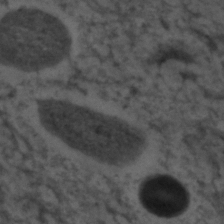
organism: C. elegans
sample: C. elegans embryo